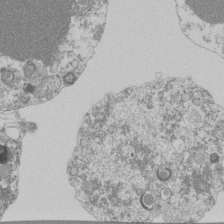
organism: Mouse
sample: Activated Pmel transgenic CD8+ T Cells